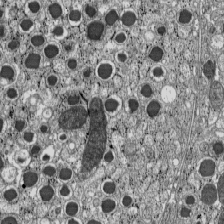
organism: C57BL Mouse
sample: Pancreatic islet